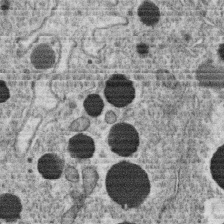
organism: C. elegans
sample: C. elegans oocyte; sperm cells